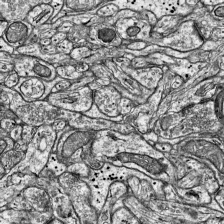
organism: Mouse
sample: Visual Cortex